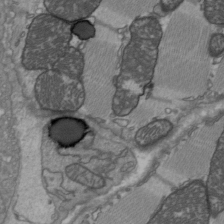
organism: C57BL Mouse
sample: Heart